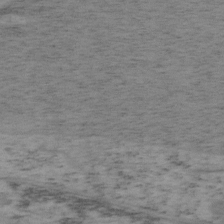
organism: Mouse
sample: OT-I killer T cells with ID8 ovarian cancer cells